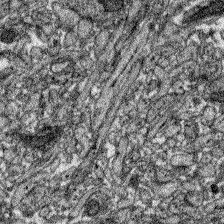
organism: Zebrafish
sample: Larval olfactory bulb